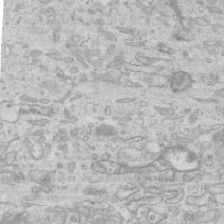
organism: Mouse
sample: Centriole in ependymal cells